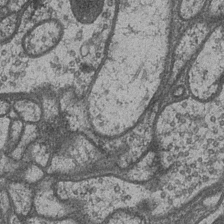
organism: Drosophila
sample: Optic medulla